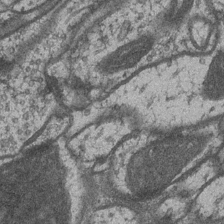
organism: Drosophila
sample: Optic medulla